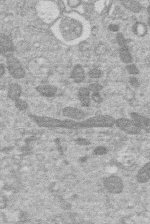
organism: Human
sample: Macrophage cells